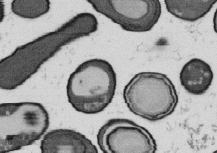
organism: B. subtilis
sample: Bacterial spore